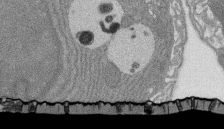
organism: Rat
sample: Salivary granule